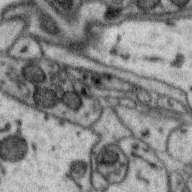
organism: Zebra finch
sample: Brain